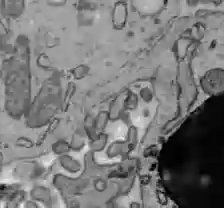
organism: C57BL Mouse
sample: Liver